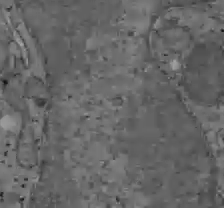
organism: C57BL Mouse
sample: Liver